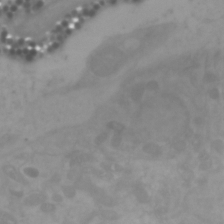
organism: Zebrafish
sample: Zebrafish embryo